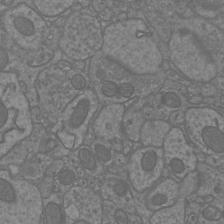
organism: Mouse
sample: Cortical neurons